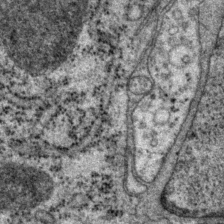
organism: P. pacificus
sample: Pharynx